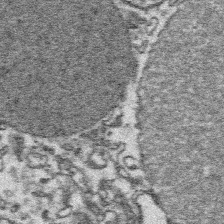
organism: Platynereis dumerilii